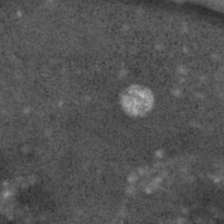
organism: C. elegans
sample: C. elegans embryo